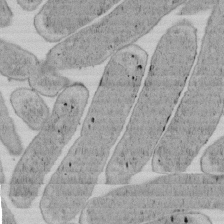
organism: E. coli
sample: Bacterial nucleoid